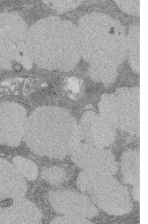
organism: Rat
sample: Salivary granule